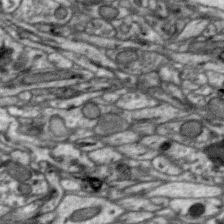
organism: Zebra finch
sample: Brain